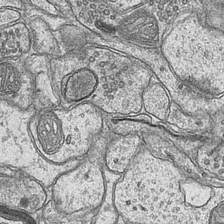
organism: Mouse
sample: CA1 Hippocampus